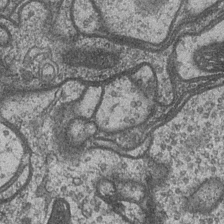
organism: Drosophila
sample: Optic medulla